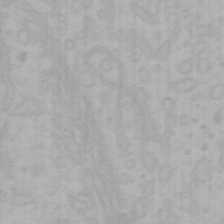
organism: Mouse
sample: Choroid plexus